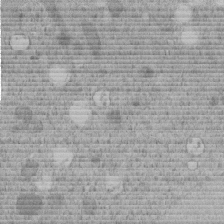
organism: C. elegans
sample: C. elegans embryo early stage